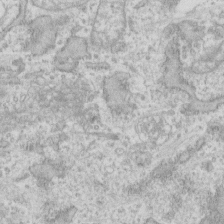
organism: Human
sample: Fibroblast cells